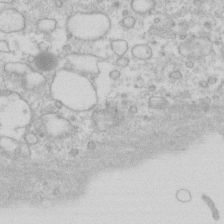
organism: Human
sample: Fibroblast cells